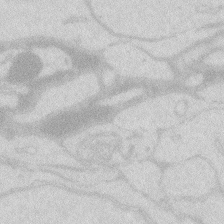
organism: Zebrafish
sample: Macrophage